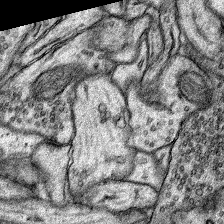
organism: Rat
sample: Hippocampus